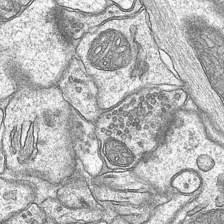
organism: Mouse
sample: CA1 Hippocampus